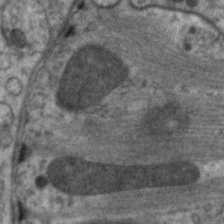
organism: C. elegans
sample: Pharynx